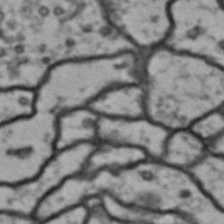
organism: Drosophila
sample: Brain